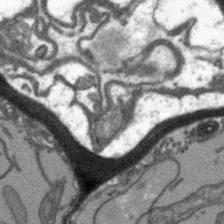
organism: Arabidopsis thaliana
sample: Root tip